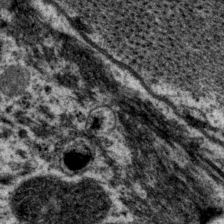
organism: P. pacificus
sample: Pharynx